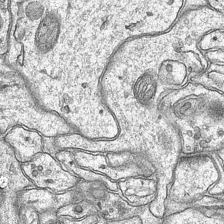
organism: Mouse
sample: CA1 Hippocampus